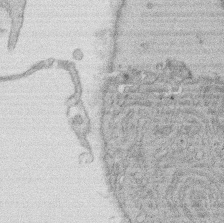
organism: Rat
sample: Salivary granule